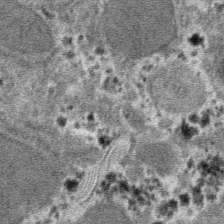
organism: Mouse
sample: Mouse hepatocytes